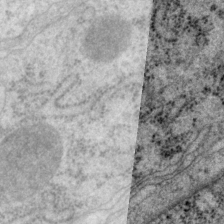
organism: P. pacificus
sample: Pharynx